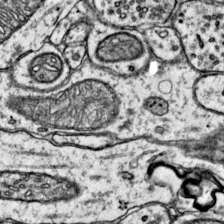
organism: Mouse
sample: Primary visual cortex